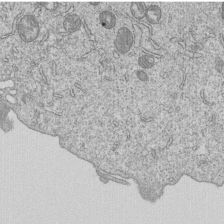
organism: Human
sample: MDA-MB-231 cells